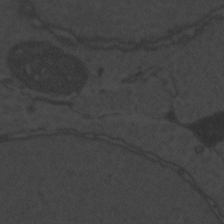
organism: Zebrafish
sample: Macrophage infected with Toxoplasma gondii